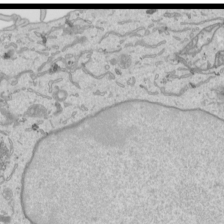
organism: Human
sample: Mitochondria in HCT116 cells